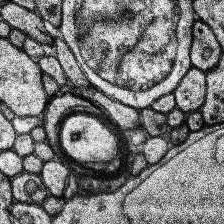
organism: Human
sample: Temporal Lobe